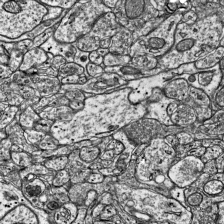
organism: Mouse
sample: Visual Cortex